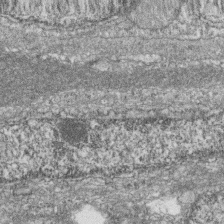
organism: Zebrafish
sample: Cilia; retinal pigment epithelium